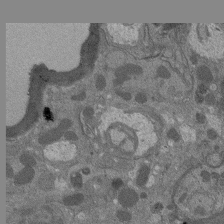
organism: Drosophila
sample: Antenna